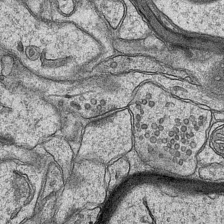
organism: Mouse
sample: CA1 Hippocampus